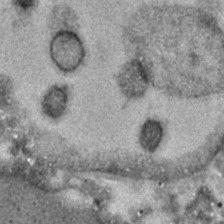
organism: C. elegans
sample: C. elegans embryo